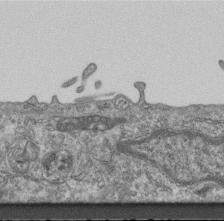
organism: Mouse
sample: Centriole in ependymal cells